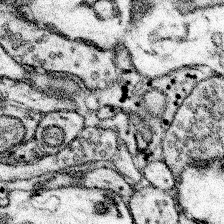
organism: Mouse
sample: Somatosensory cortex neuropil